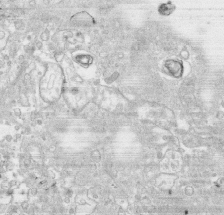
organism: Human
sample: CRL-1474